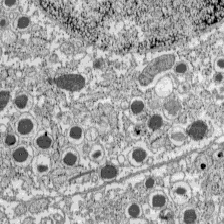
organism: C57BL Mouse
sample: Pancreatic islet